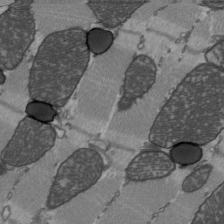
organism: C57BL Mouse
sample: Heart